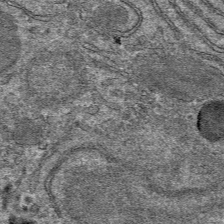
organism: Mouse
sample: Mouse hepatocytes